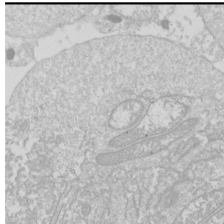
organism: Drosophila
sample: Cell division; meiosis; drosophila spermatocytes